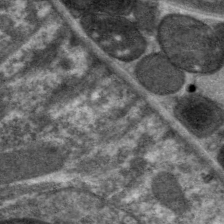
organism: C. elegans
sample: Pharynx